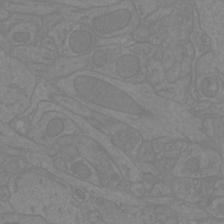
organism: Mouse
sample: Cortical neurons